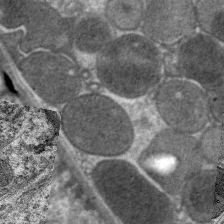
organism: C. elegans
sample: Pharynx